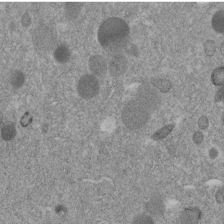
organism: C. elegans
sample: C. elegans embryo early stage